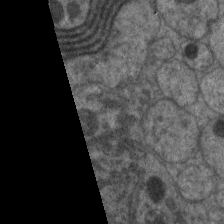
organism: C. elegans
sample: Pharynx